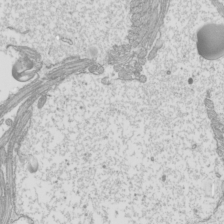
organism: Mouse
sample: Cilia; mouse epididymis